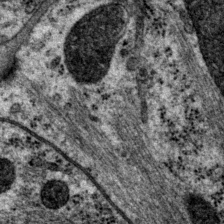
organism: P. pacificus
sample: Pharynx